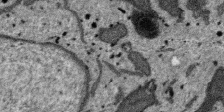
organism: Human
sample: Lung epithelial cells, uninfected (mock) control